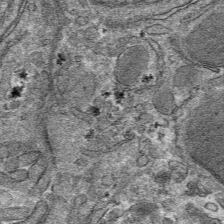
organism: Mouse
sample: Mouse hepatocytes